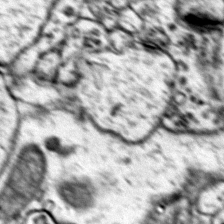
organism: Mouse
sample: Primary visual cortex